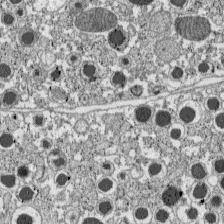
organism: C57BL Mouse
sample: Pancreatic islet